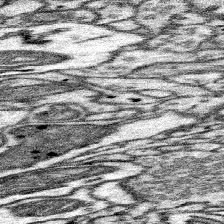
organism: Mouse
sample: Somatosensory cortex neuropil